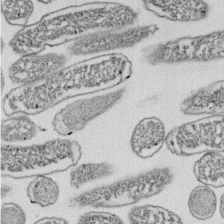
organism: E. coli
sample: Bacterial nucleoid